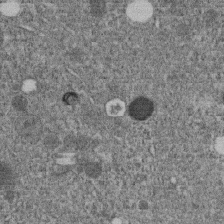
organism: C. elegans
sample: C. elegans embryo early stage